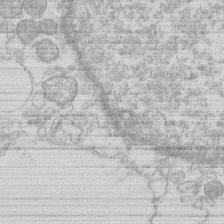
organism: Human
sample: Macrophage cells